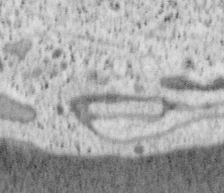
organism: Mouse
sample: OT-I killer T cells with ID8 ovarian cancer cells